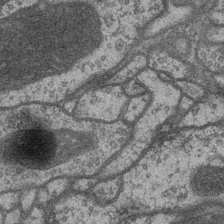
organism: Drosophila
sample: Optic medulla